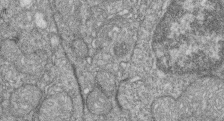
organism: Zebrafish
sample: Cilia; retinal pigment epithelium